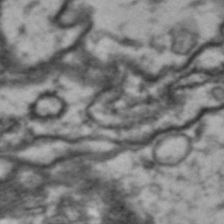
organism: Drosophila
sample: Brain